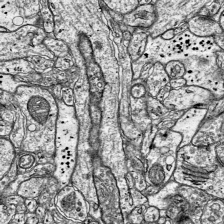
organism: Mouse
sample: Visual Cortex